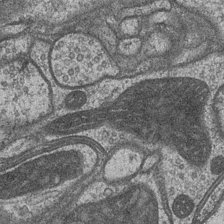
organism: Drosophila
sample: Optic medulla